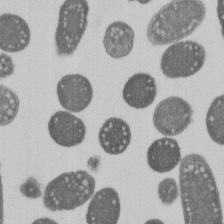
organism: E. coli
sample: Bacterial nucleoid